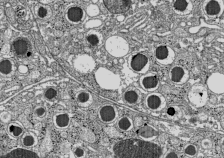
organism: C57BL Mouse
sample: Pancreatic islet